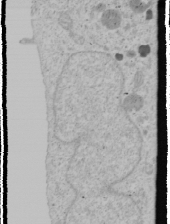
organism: Human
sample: Mitochondria in U2OS cells